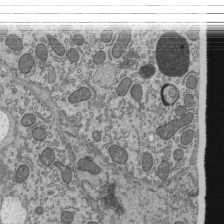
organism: Mouse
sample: Mouse epididymis efferent ductule cilia